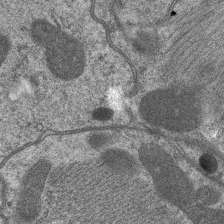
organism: C. elegans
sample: Pharynx